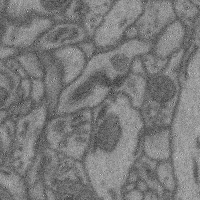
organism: Mouse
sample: Cerebral cortex